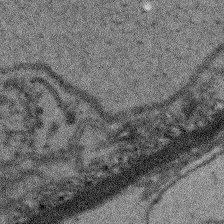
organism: Arabidopsis thaliana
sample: Root tip